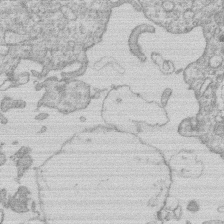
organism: Human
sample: Macrophage cells